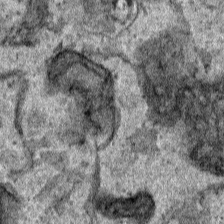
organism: Human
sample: Mitochondria in HCT116 cells